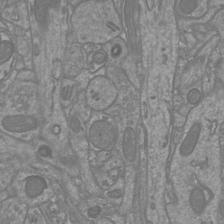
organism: Mouse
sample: Cortical neurons